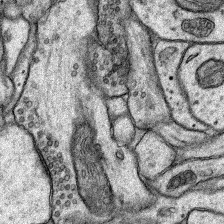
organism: Rat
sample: Hippocampus